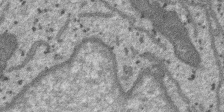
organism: Human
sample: Lung epithelial cells infected with SARS-CoV-2